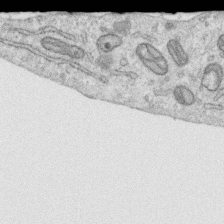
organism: Human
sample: Centriole in RPE cells